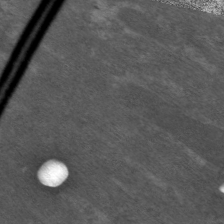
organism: C. elegans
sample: Pharynx